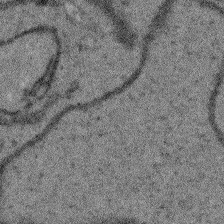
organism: Arabidopsis thaliana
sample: Root tip